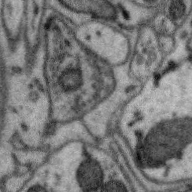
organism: Zebra finch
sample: Brain